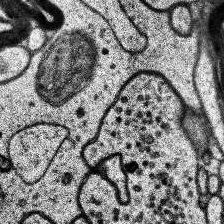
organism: Human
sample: Temporal Lobe